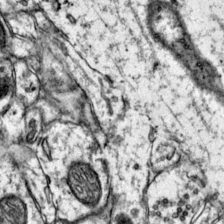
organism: Mouse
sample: Primary visual cortex